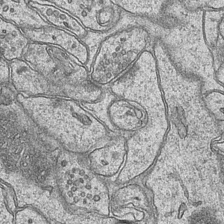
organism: Mouse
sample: CA1 Hippocampus